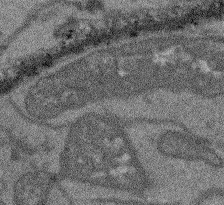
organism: Arabidopsis thaliana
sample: Root tip